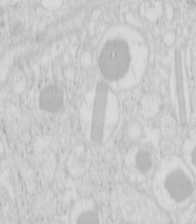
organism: Mouse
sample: Pancreas